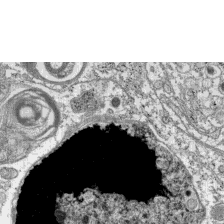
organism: C57BL Mouse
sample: Pancreatic islet